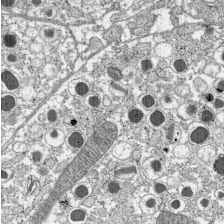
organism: C57BL Mouse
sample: Pancreatic islet